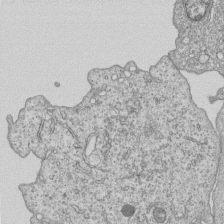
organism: Human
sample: MDA-MB-231 cells